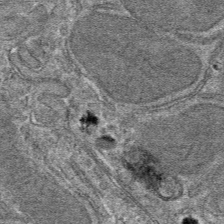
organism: Mouse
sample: Mouse hepatocytes